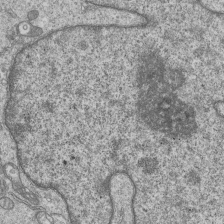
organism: Human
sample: MDA-MB-231 cells